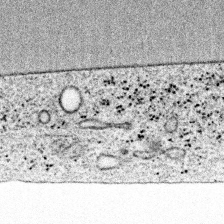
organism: Human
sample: HeLa cells